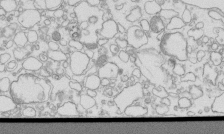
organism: Mouse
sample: Macrophages